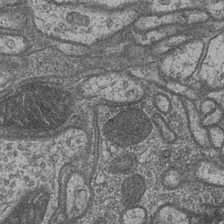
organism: Drosophila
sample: Optic medulla